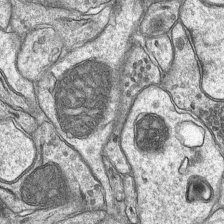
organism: Mouse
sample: CA1 Hippocampus